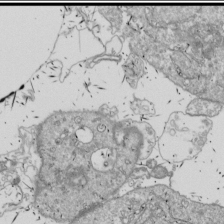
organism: Drosophila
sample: Cell division; meiosis; drosophila spermatocytes